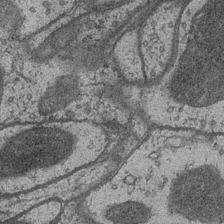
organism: Drosophila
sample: Optic medulla